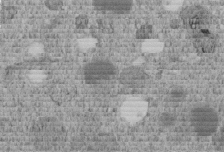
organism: C. elegans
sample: C. elegans embryo early stage